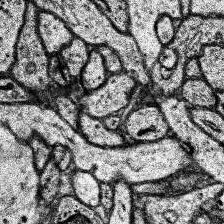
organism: Human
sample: Temporal Lobe